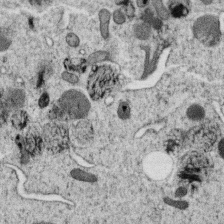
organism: C. elegans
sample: C. elegans oocyte; sperm cells